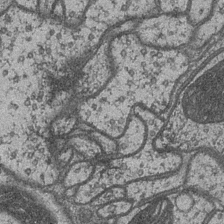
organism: Drosophila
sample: Optic medulla